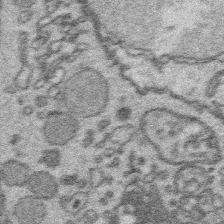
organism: Platynereis dumerilii